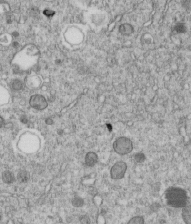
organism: C. elegans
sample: C. elegans embryo early stage